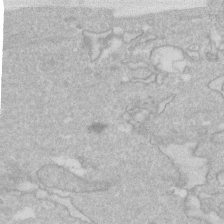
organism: Human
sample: Fibroblast cells